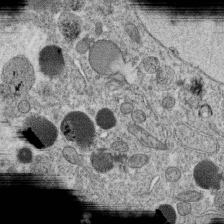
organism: C. elegans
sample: C. elegans oocyte; sperm cells